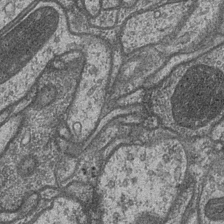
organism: Drosophila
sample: Optic medulla